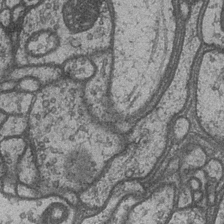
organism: Drosophila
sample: Optic medulla